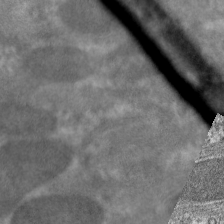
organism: C. elegans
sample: Pharynx